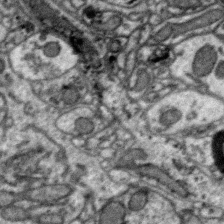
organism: Zebra finch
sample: Brain